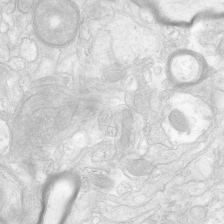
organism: Human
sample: Neocortex